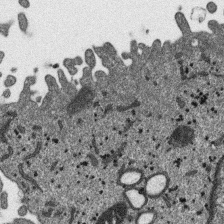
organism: Human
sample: Lung epithelial cells infected with SARS-CoV-2